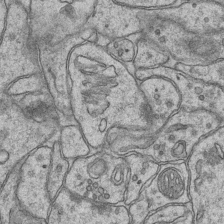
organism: Mouse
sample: CA1 Hippocampus